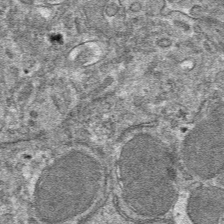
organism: Mouse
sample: Mouse hepatocytes